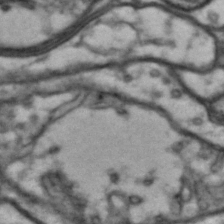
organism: Drosophila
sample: Brain